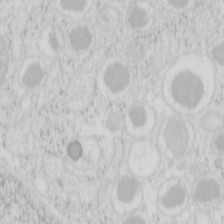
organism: Mouse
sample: Pancreas